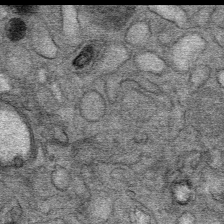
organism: Mouse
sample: Mouse Salivary gland